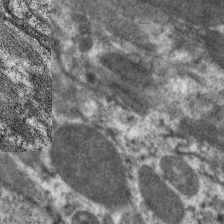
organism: C. elegans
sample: Pharynx